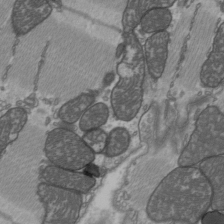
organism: C57BL Mouse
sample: Heart